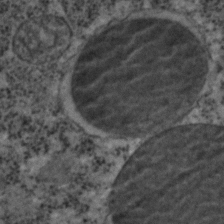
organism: C. elegans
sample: C. elegans embryo